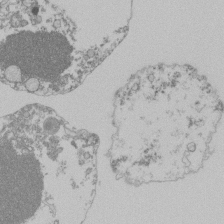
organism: Mouse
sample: Activated Pmel transgenic CD8+ T Cells